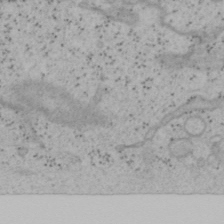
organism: Human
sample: HeLa cells